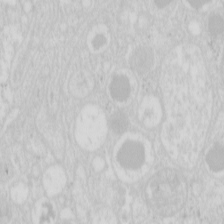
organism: Mouse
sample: Pancreas